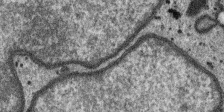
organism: Human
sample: Lung epithelial cells infected with SARS-CoV-2